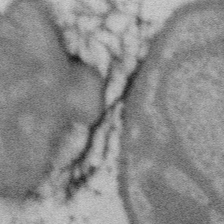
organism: Gemmata obscuriglobus